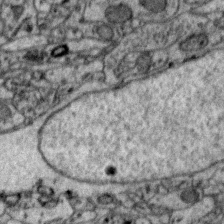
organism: Zebra finch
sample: Brain